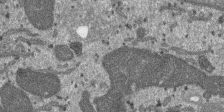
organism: Human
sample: Lung epithelial cells infected with SARS-CoV-2